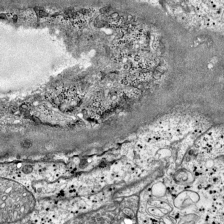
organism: Mouse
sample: Visual Cortex